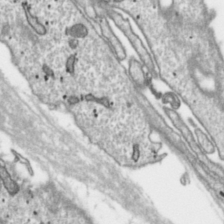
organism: Toxoplasma gondii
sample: Parasites in a vacuole inside a host cell